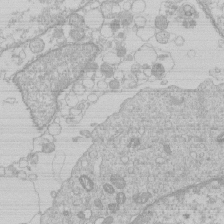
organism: Human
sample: Macrophage cells